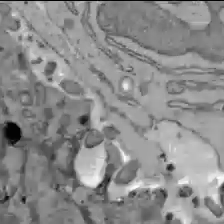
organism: C57BL Mouse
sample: Liver